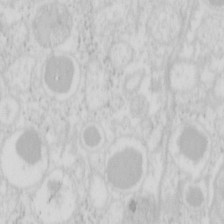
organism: Mouse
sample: Pancreas